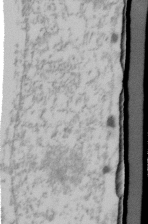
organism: Human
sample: U2-OS cells